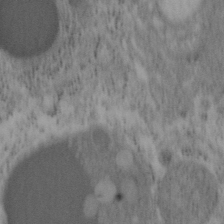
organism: Mouse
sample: OT-I killer T cells with ID8 ovarian cancer cells